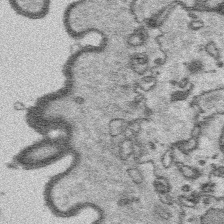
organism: Platynereis dumerilii